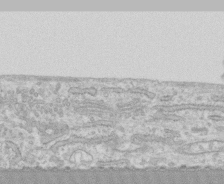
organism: Human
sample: CRL-1474